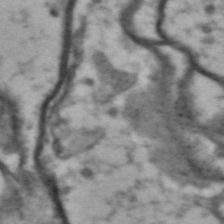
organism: Drosophila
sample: Brain